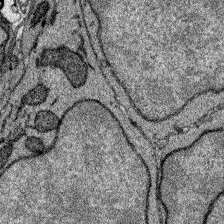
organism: Zebrafish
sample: Larval olfactory bulb